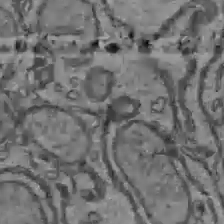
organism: C57BL Mouse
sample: Liver